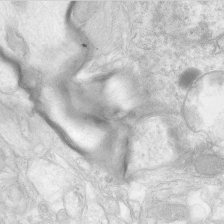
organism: Human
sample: Neocortex